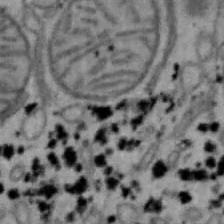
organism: Mouse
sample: Liver